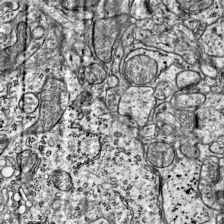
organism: Mouse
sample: Visual Cortex